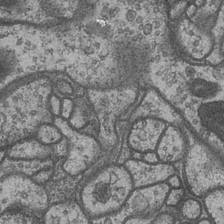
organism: Drosophila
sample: Optic medulla